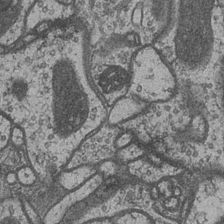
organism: Drosophila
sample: Optic medulla